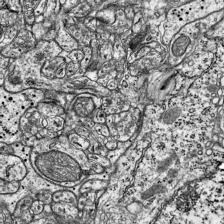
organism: Mouse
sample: Visual Cortex